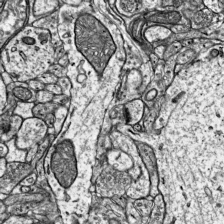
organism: Mouse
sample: Visual Cortex